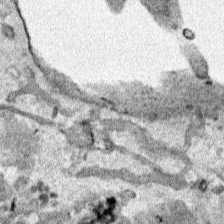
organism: Human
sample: Mitochondria in HCT116 cells